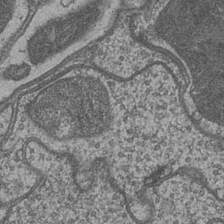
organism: Drosophila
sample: Optic medulla